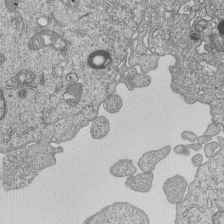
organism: Human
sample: MDA-MB-231 cells